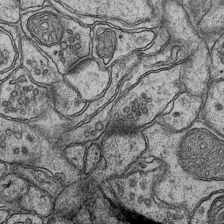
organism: Mouse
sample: CA1 Hippocampus